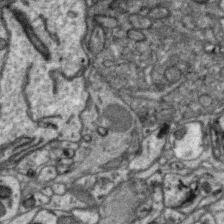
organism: Zebra finch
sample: Brain